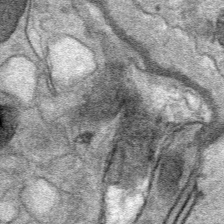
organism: Mouse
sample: Mouse Salivary gland